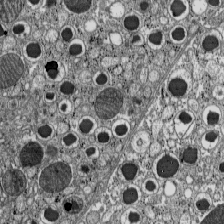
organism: C57BL Mouse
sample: Pancreatic islet